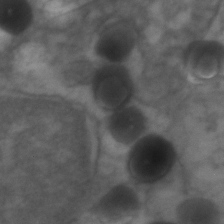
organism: Zebrafish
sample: Zebrafish embryo